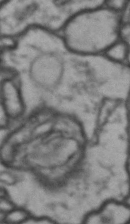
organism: Drosophila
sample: Brain